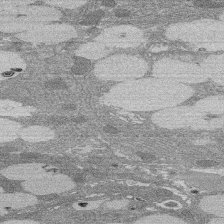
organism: Rat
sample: Salivary granule